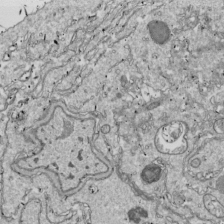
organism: Drosophila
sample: Cell division; meiosis; drosophila spermatocytes